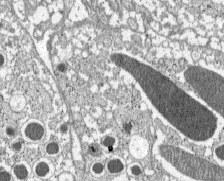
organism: C57BL Mouse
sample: Pancreatic islet